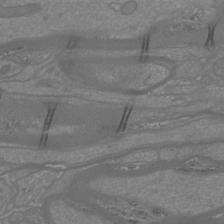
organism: Mouse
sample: Cortical neurons